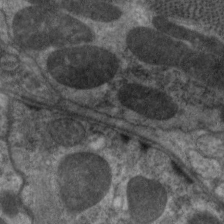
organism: C. elegans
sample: Pharynx